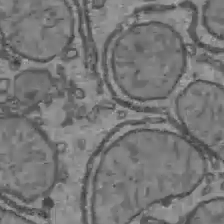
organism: C57BL Mouse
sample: Liver